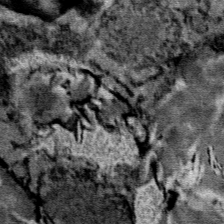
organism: Mouse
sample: Mouse Salivary gland